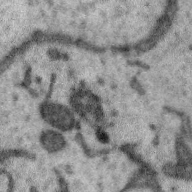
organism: Zebra finch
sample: Brain